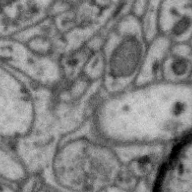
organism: Zebra finch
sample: Brain